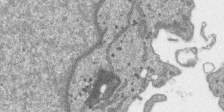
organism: Human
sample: Lung epithelial cells infected with SARS-CoV-2